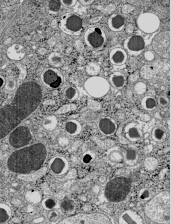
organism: C57BL Mouse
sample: Pancreatic islet